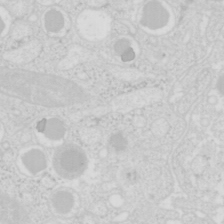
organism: Mouse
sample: Pancreas